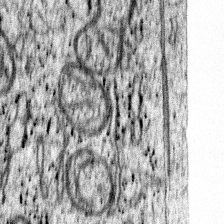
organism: Human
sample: HeLa cells